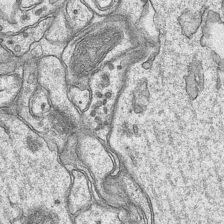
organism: Mouse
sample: CA1 Hippocampus